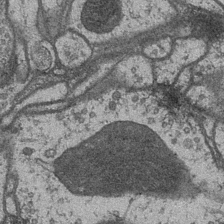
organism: Drosophila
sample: Optic medulla